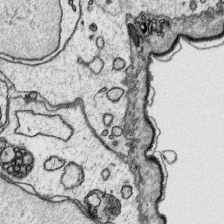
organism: Platynereis dumerilii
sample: Parapodia